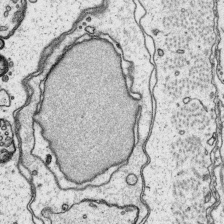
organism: Platynereis dumerilii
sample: Parapodia